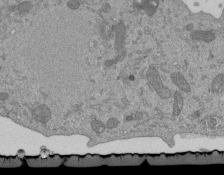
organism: Mouse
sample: ED-1 cell nuclei; centrioles